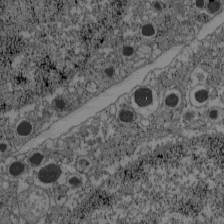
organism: C57BL Mouse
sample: Pancreatic islet